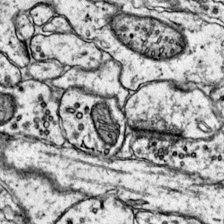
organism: Mouse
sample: Primary visual cortex